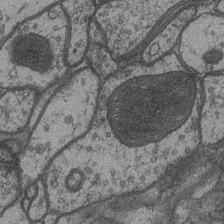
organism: Drosophila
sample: Optic medulla